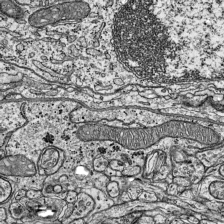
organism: Mouse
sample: Visual Cortex